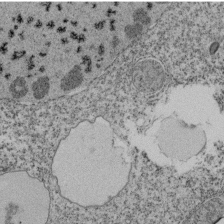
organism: Tetrahymena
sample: Cilia in tetrahymena